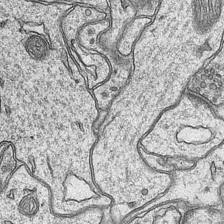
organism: Mouse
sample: CA1 Hippocampus